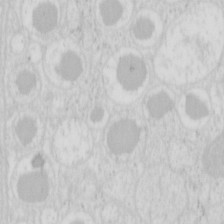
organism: Mouse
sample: Pancreas